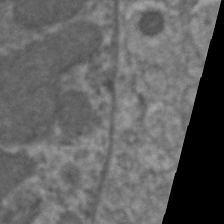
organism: C. elegans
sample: Pharynx